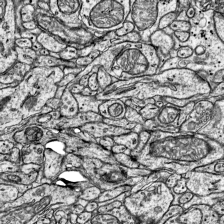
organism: Mouse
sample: Visual Cortex